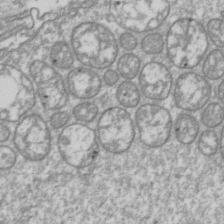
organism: Drosophila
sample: Cell division; meiosis; drosophila spermatocytes